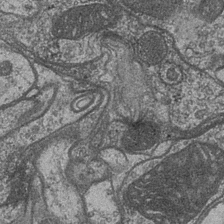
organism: Drosophila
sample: Optic medulla